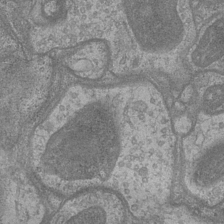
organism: Drosophila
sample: Optic medulla